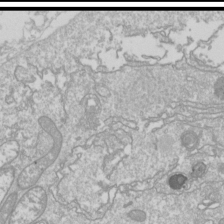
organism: Drosophila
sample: Cell division; meiosis; drosophila spermatocytes